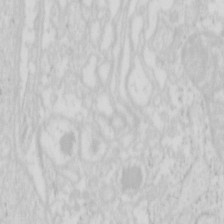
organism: Mouse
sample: Pancreas